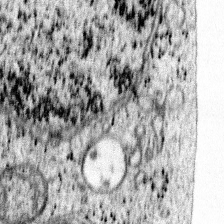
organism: Human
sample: HeLa cells